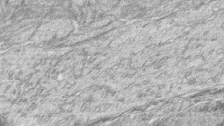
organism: Zebrafish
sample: synaptic ribbons in rod cells and cone cells